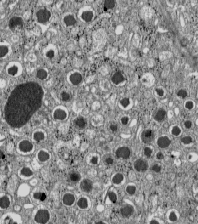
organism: C57BL Mouse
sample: Pancreatic islet